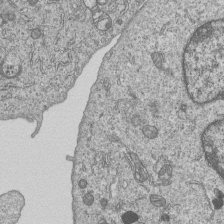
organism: Human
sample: MDA-MB-231 cells